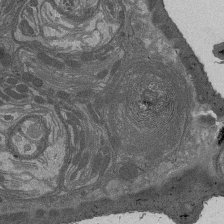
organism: Drosophila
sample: Antenna